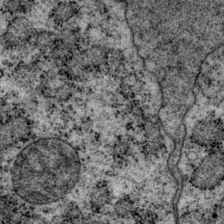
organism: P. pacificus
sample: Pharynx